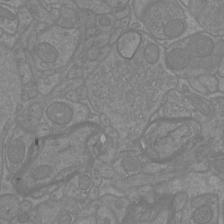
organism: Mouse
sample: Cortical neurons